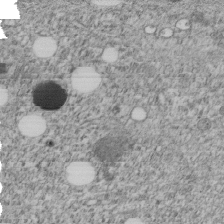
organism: C. elegans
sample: C. elegans embryo early stage